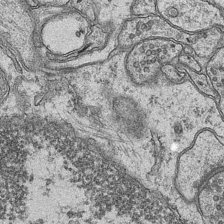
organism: Mouse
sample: CA1 Hippocampus